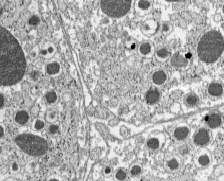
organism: C57BL Mouse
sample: Pancreatic islet